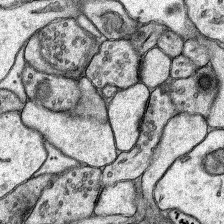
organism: Rat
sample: Hippocampus